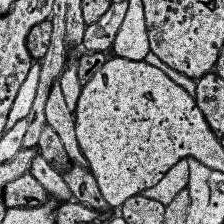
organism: Human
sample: Temporal Lobe